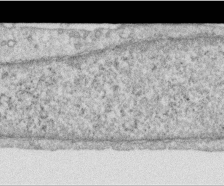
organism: Human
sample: Centriole in RPE cells